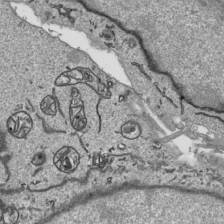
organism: Human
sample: Mitochondria in HCT116 cells